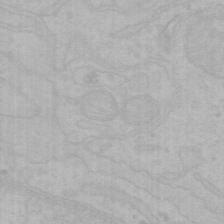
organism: Mouse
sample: Choroid plexus